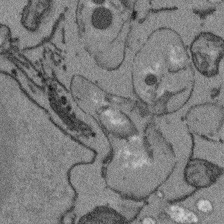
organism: Arabidopsis thaliana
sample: Root tip